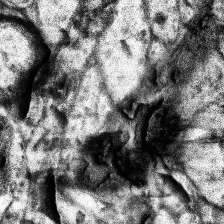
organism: Human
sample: Temporal Lobe